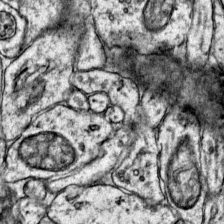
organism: Mouse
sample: Primary visual cortex